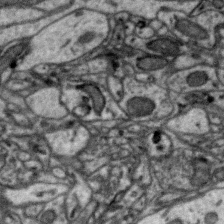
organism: Zebra finch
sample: Brain